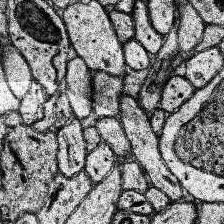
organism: Human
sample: Temporal Lobe